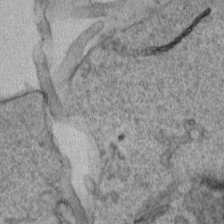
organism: Human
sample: Mitochondria in HCT116 cells